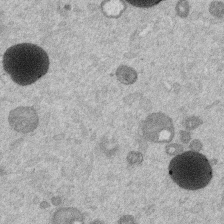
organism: Mouse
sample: Dividing mouse embryo 1 cell stage